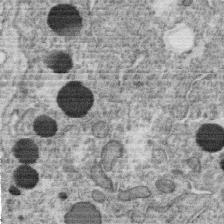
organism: C. elegans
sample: C. elegans oocyte; sperm cells